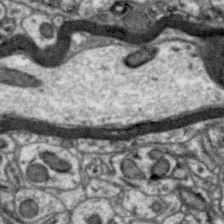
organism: Zebra finch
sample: Brain